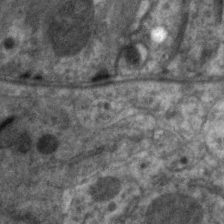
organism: C. elegans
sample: Pharynx